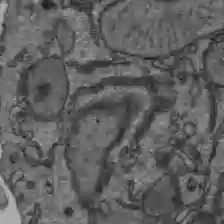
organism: C57BL Mouse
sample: Liver